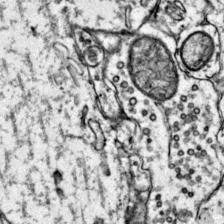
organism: Mouse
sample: Primary visual cortex